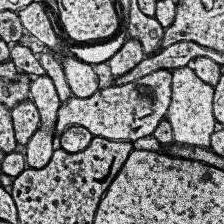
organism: Human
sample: Temporal Lobe